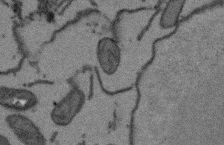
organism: Arabidopsis thaliana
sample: Root tip